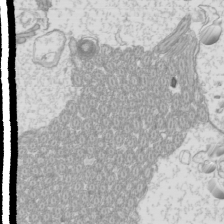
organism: Mouse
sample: Cilia; mouse epididymis